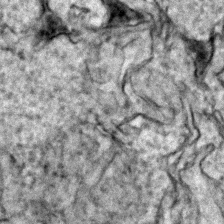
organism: Zebrafish